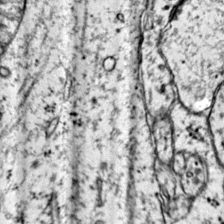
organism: Mouse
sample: Primary visual cortex